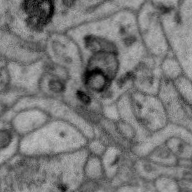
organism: Zebra finch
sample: Brain